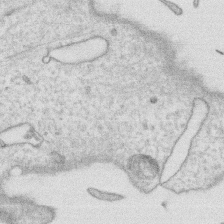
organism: Human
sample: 1205lu cells